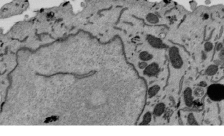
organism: Mouse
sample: ED-1 cell nuclei; centrioles